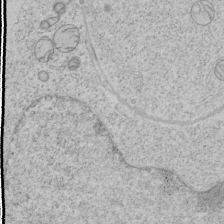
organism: Human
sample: Mitochondria in HCT116 cells